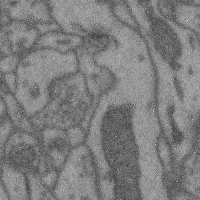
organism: Mouse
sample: Cerebral cortex